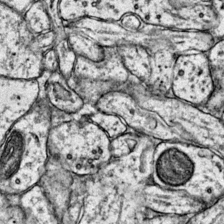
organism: Mouse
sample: Primary visual cortex